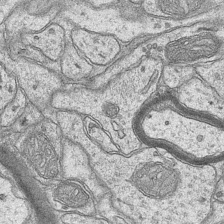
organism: Mouse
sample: CA1 Hippocampus